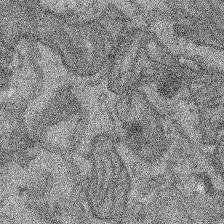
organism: Human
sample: HeLa cells